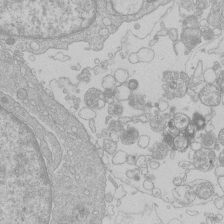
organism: Human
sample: Macrophage cells